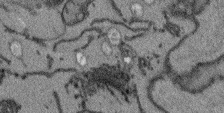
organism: Arabidopsis thaliana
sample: Root tip